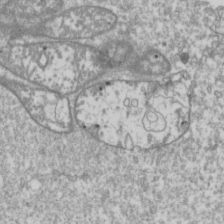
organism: Drosophila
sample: Cell division; meiosis; drosophila spermatocytes